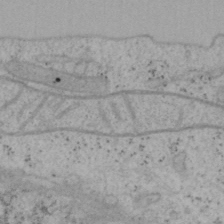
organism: Human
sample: HeLa cells